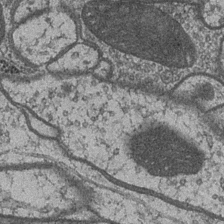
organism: Drosophila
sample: Optic medulla